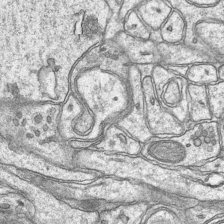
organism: Mouse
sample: CA1 Hippocampus